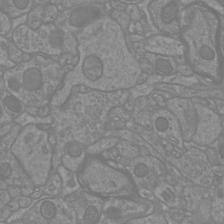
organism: Mouse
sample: Cortical neurons